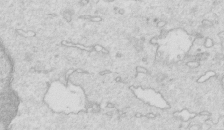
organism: Mouse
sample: Multiciliated cells